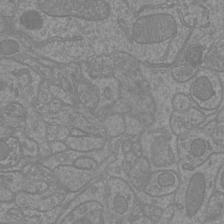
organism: Mouse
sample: Cortical neurons